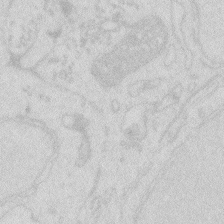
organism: Zebrafish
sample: Macrophage